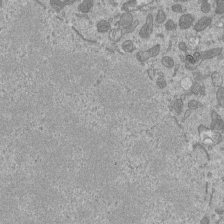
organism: Mouse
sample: ED-1 cell nuclei; centrioles